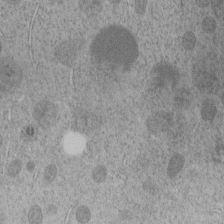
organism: C. elegans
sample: C. elegans embryo early stage